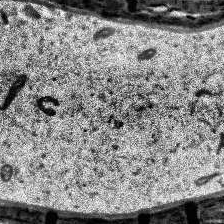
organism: Human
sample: Temporal Lobe